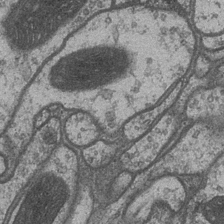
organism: Drosophila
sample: Optic medulla